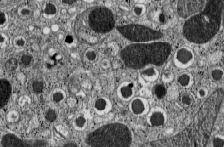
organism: C57BL Mouse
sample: Pancreatic islet